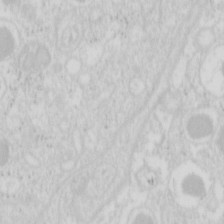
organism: Mouse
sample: Pancreas